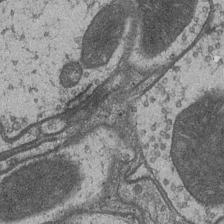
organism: Drosophila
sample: Optic medulla